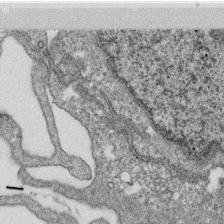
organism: African green monkey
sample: Vero E6 cells infected with SARS-CoV-2